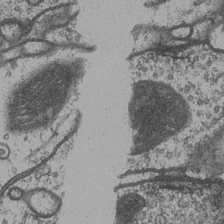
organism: Drosophila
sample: Optic medulla